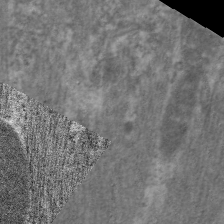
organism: C. elegans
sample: Pharynx